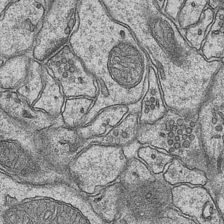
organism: Mouse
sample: CA1 Hippocampus